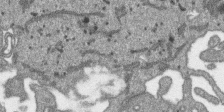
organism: Human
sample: Lung epithelial cells infected with SARS-CoV-2